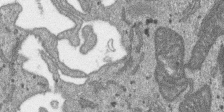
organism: Human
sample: Lung epithelial cells infected with SARS-CoV-2